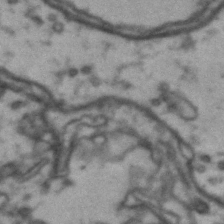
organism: Drosophila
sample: Brain